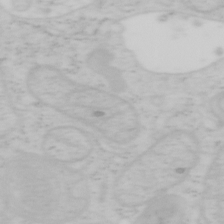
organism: Mouse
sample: OT-I killer T cells with ID8 ovarian cancer cells